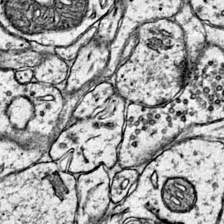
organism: Mouse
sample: Primary visual cortex